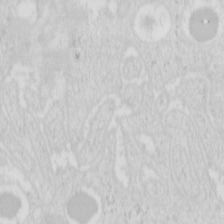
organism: Mouse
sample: Pancreas